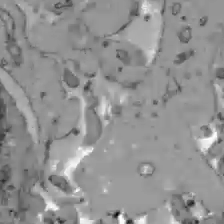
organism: C57BL Mouse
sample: Liver